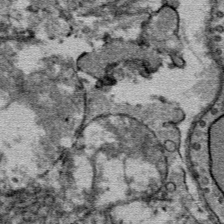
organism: Mouse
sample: Mouse Salivary gland